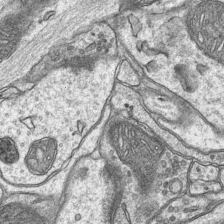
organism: Mouse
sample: CA1 Hippocampus